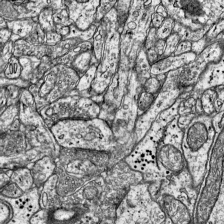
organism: Mouse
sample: Visual Cortex